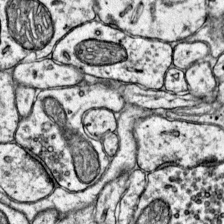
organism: Mouse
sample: Primary visual cortex